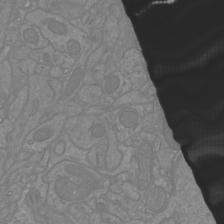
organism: Mouse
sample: Cortical neurons